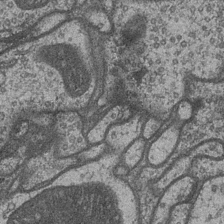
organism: Drosophila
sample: Optic medulla